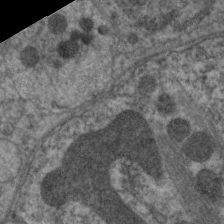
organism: C. elegans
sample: Pharynx